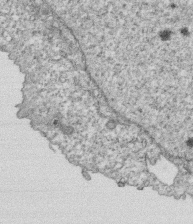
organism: Human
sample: HeLa cell HIV synapse